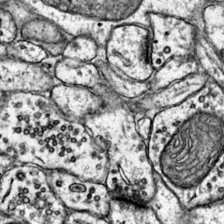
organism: Mouse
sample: Primary visual cortex